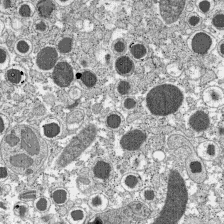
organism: C57BL Mouse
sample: Pancreatic islet